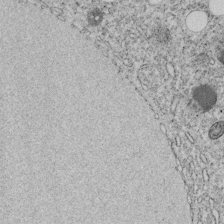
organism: C. elegans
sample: C. elegans embryo early stage